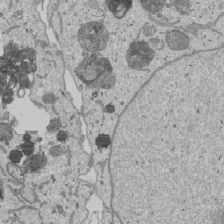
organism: Human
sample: Mitochondria in U2OS cells